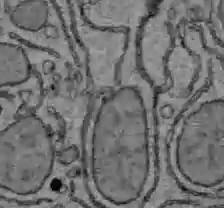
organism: C57BL Mouse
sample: Liver